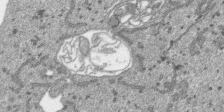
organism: Human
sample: Lung epithelial cells infected with SARS-CoV-2